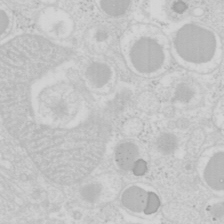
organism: Mouse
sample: Pancreas